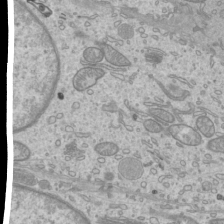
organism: Mouse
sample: Cilia; mouse epididymis